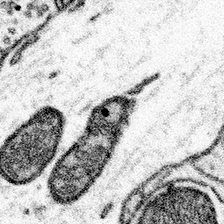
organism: Mouse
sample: Somatosensory cortex neuropil